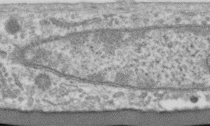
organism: Human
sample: Centriole in RPE cells